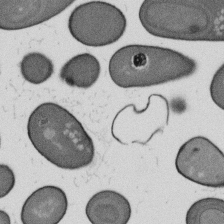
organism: B. subtilis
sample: Bacterial spore